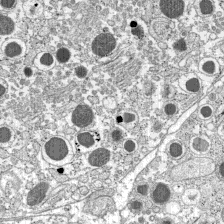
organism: C57BL Mouse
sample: Pancreatic islet